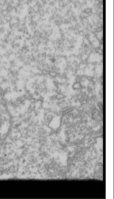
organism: Drosophila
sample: Cell division; meiosis; drosophila spermatocytes